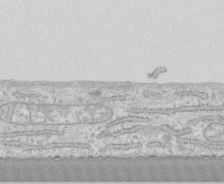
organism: Human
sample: CRL-1474